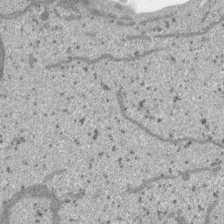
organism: Human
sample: Lung epithelial cells infected with SARS-CoV-2